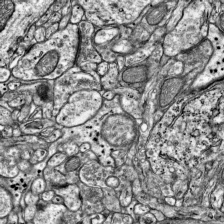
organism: Mouse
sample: Visual Cortex